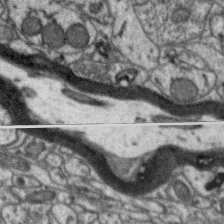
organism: Zebra finch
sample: Brain